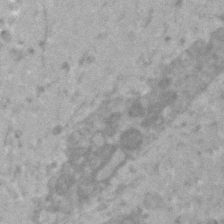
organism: Human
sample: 1205lu cells